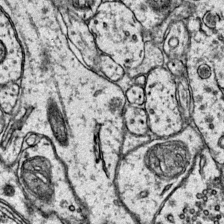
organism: Mouse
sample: Primary visual cortex